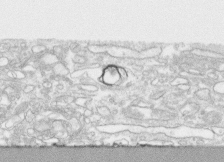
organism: Human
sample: CRL-1474